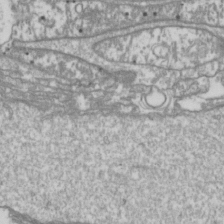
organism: Drosophila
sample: Cell division; meiosis; drosophila spermatocytes